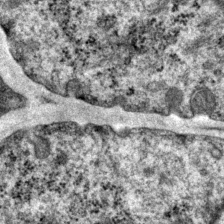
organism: P. pacificus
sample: Pharynx